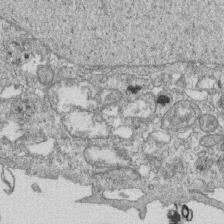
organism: Human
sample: HeLa cell HIV synapse